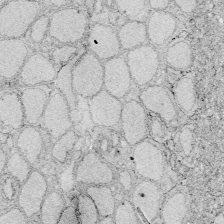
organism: Zebrafish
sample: Whole-Brain